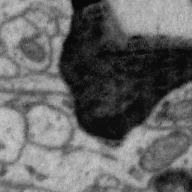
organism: Zebra finch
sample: Brain